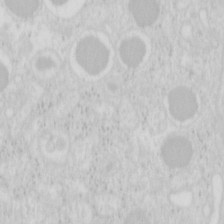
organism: Mouse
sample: Pancreas